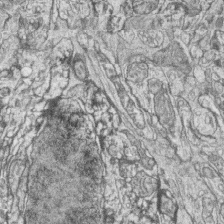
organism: Zebrafish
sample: synaptic ribbons in rod cells and cone cells